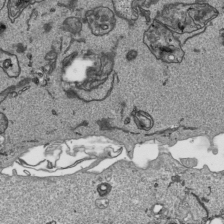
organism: Human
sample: Mitochondria in HCT116 cells